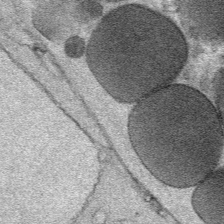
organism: Mouse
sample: Mouse Salivary gland